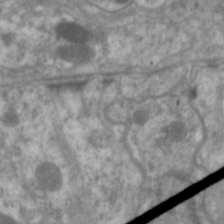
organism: C. elegans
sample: Pharynx